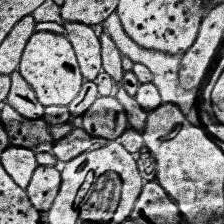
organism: Human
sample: Temporal Lobe